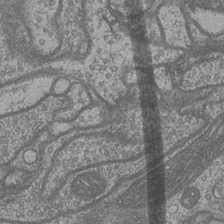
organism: Drosophila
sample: Optic medulla